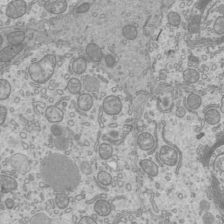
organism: Mouse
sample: Cilia; mouse epididymis